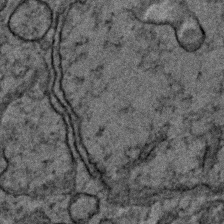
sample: Trachea